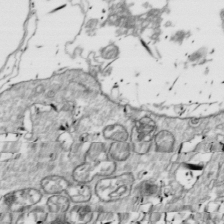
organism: Drosophila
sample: Cell division; meiosis; drosophila spermatocytes